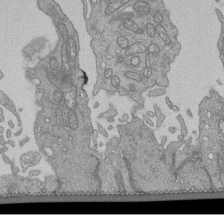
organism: Human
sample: Retinal organoid Rod and Cone cells